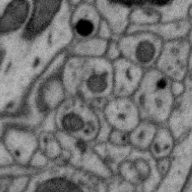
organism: Zebra finch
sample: Brain